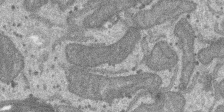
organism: Human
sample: Lung epithelial cells infected with SARS-CoV-2